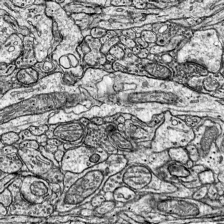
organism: Mouse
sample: Visual Cortex